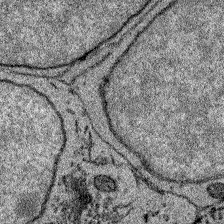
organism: Zebrafish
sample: Larval olfactory bulb